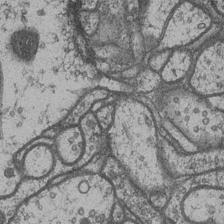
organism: Drosophila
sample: Optic medulla